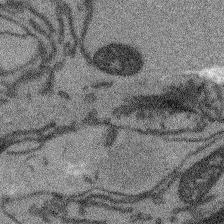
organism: Arabidopsis thaliana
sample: Root tip